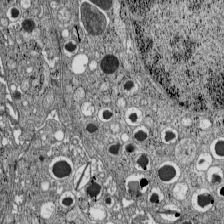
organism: C57BL Mouse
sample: Pancreatic islet